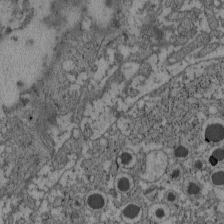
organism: C57BL Mouse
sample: Pancreatic islet